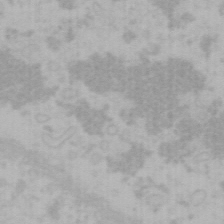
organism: Mouse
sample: Choroid plexus